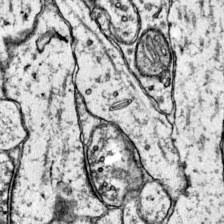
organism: Mouse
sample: Primary visual cortex